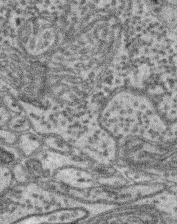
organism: Mouse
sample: Retina